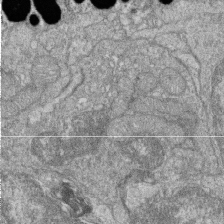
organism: Zebrafish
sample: Cilia; retinal pigment epithelium